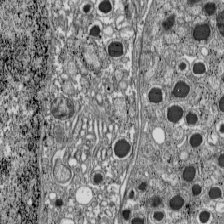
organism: C57BL Mouse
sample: Pancreatic islet